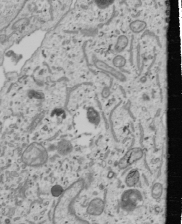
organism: Human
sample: Mitochondria in U2OS cells